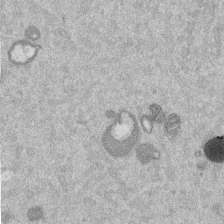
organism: Mouse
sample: Dividing mouse embryo 1 cell stage